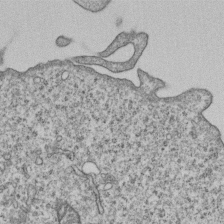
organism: Human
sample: MDA-MB-231 cells